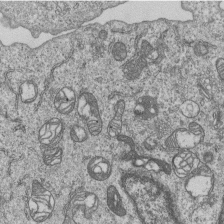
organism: Human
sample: MDA-MB-231 cells